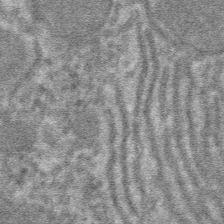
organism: Mouse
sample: Mouse hepatocytes